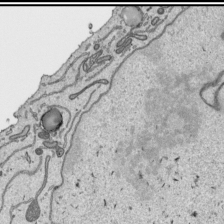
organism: Human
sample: Mitochondria in HCT116 cells